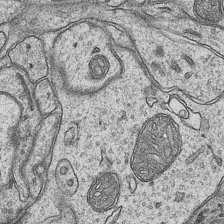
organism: Mouse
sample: CA1 Hippocampus